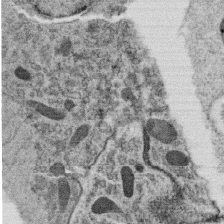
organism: C. elegans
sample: C. elegans oocyte; sperm cells